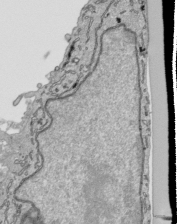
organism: Human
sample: Mitochondria in HCT116 cells